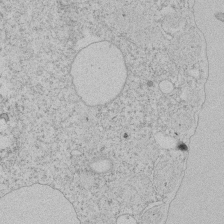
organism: Tetrahymena